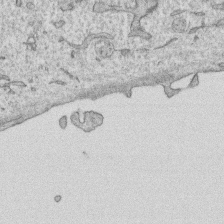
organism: Human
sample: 1205lu cells